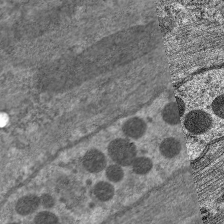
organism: C. elegans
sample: Pharynx